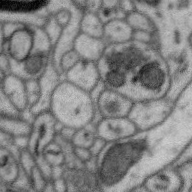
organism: Zebra finch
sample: Brain